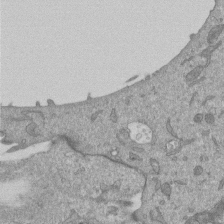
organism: Mouse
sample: ED-1 cell nuclei; centrioles